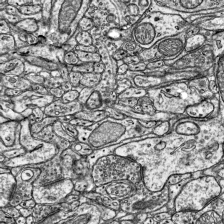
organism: Mouse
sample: Visual Cortex